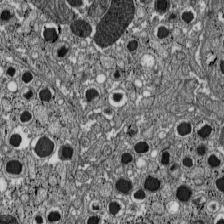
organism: C57BL Mouse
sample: Pancreatic islet